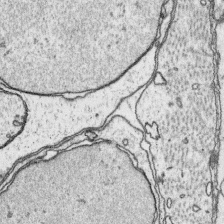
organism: Platynereis dumerilii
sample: Parapodia